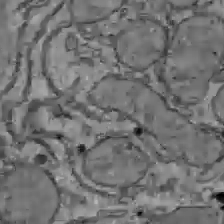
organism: C57BL Mouse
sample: Liver